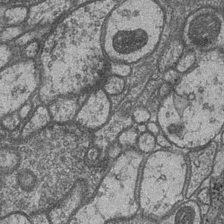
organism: Drosophila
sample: Optic medulla